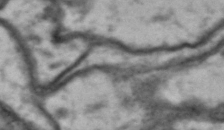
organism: Drosophila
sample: Brain